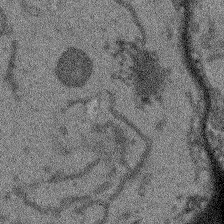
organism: Arabidopsis thaliana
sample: Root tip